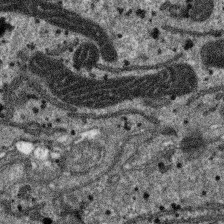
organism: Human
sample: Lung epithelial cells infected with SARS-CoV-2